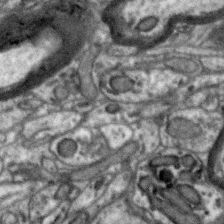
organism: Zebra finch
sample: Brain